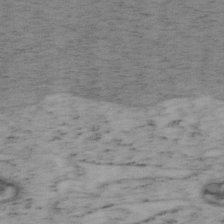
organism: Mouse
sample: OT-I killer T cells with ID8 ovarian cancer cells